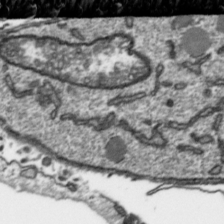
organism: Toxoplasma gondii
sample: Parasites in a vacuole inside a host cell